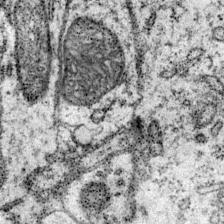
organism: Mouse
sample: Primary visual cortex